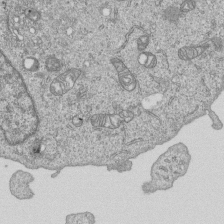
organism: Human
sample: MDA-MB-231 cells